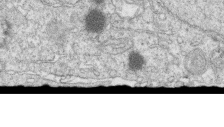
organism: Human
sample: HeLa cell HIV synapse